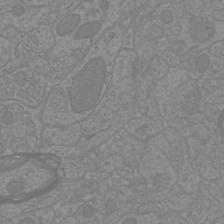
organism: Mouse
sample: Cortical neurons